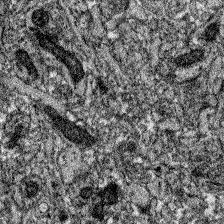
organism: Zebrafish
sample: Larval olfactory bulb